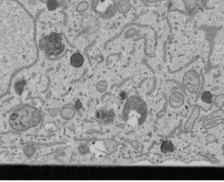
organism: Human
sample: Mitochondria in U2OS cells